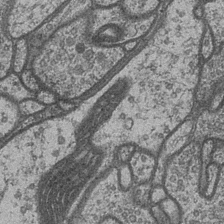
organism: Drosophila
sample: Optic medulla